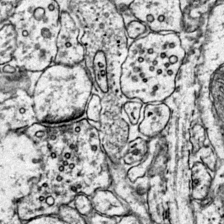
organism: Mouse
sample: Primary visual cortex